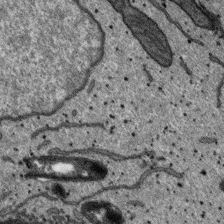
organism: Human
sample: Lung epithelial cells, uninfected (mock) control